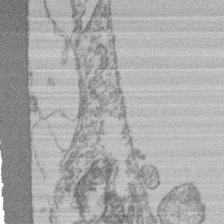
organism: Mouse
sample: T cell stromal cell synapse